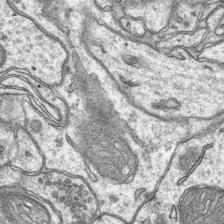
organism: Mouse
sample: CA1 Hippocampus